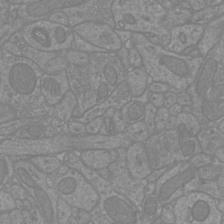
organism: Mouse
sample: Cortical neurons